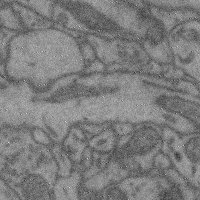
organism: Mouse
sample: Cerebral cortex